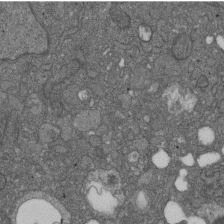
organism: Drosophila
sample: Nephrocyte